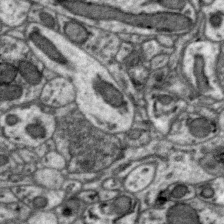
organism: Zebra finch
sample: Brain